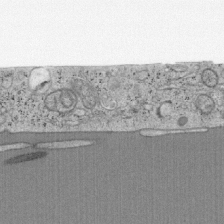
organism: Human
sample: HeLa cells